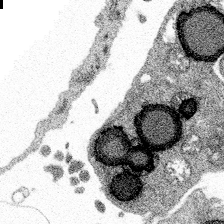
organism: Spongilla lacustris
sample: Multiple